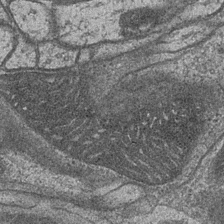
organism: Drosophila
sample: Optic medulla